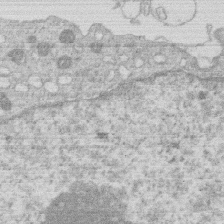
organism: Human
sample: Macrophage cells